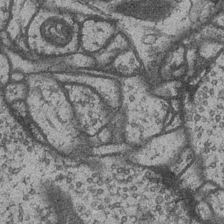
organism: Drosophila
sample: Optic medulla